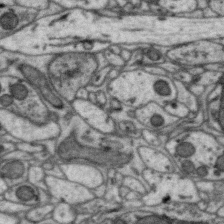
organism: Zebra finch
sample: Brain